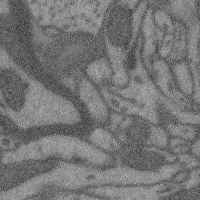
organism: Mouse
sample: Cerebral cortex